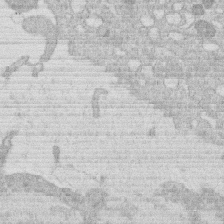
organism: Human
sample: Macrophage cells